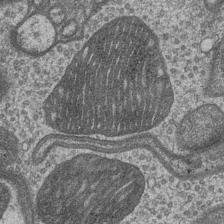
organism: Drosophila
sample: Optic medulla